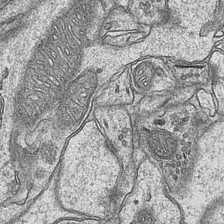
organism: Mouse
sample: CA1 Hippocampus